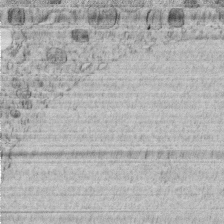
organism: C. elegans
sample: C. elegans embryo early stage